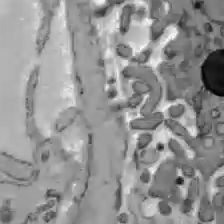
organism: C57BL Mouse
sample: Liver